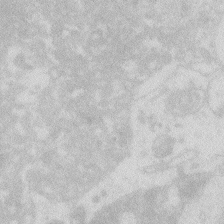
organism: Zebrafish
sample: Macrophage